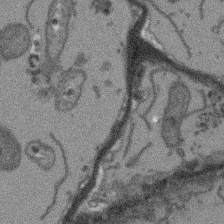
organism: Arabidopsis thaliana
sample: Root tip